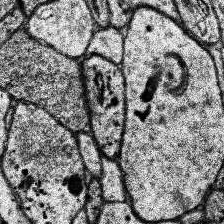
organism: Human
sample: Temporal Lobe